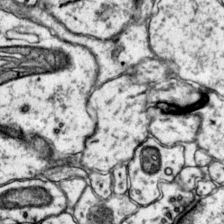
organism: Mouse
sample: Primary visual cortex